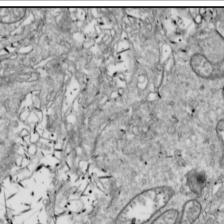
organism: Drosophila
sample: Cell division; meiosis; drosophila spermatocytes